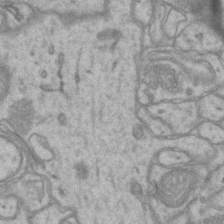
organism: Mouse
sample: CA1 Hippocampus